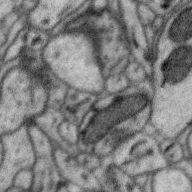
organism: Zebra finch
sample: Brain